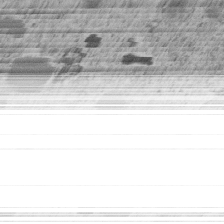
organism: C. elegans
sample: C. elegans embryo early stage